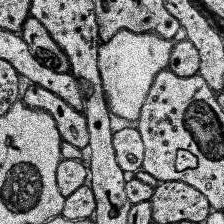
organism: Human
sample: Temporal Lobe